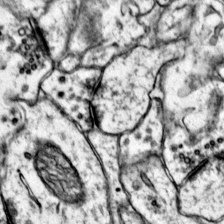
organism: Mouse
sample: Primary visual cortex